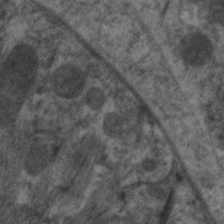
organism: C. elegans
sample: Pharynx